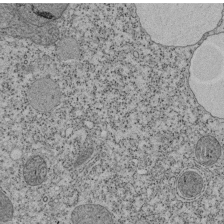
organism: Tetrahymena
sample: Cilia in tetrahymena